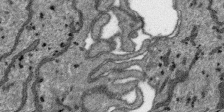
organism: Human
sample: Lung epithelial cells, uninfected (mock) control